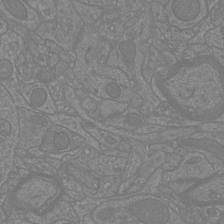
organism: Mouse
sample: Cortical neurons